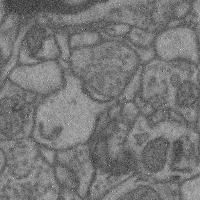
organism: Mouse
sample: Cerebral cortex